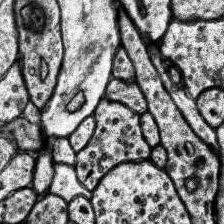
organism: Human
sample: Temporal Lobe